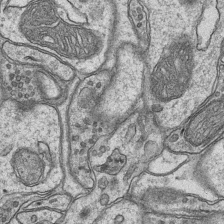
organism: Mouse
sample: CA1 Hippocampus